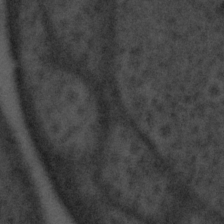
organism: Tuwongella immobilis